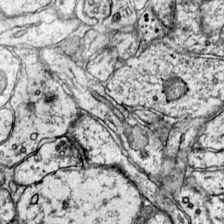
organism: Mouse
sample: Primary visual cortex